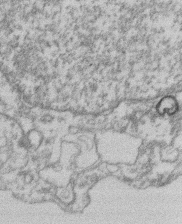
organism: Mouse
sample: T cell stromal cell synapse